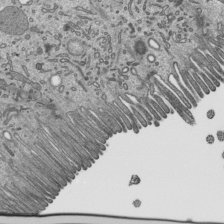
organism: Mouse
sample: Mouse epididymis efferent ductule cilia